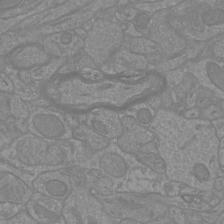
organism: Mouse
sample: Cortical neurons